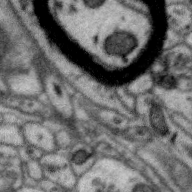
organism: Zebra finch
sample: Brain